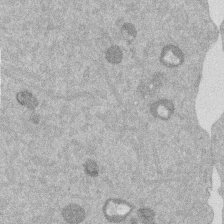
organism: Mouse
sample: Dividing mouse embryo 1 cell stage